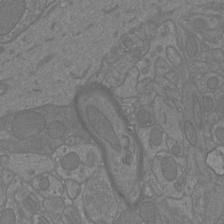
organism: Mouse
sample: Cortical neurons